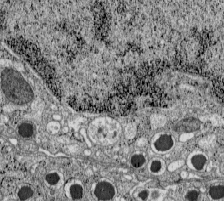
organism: C57BL Mouse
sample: Pancreatic islet